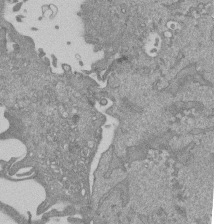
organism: Mouse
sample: ED-1 cell nuclei; centrioles